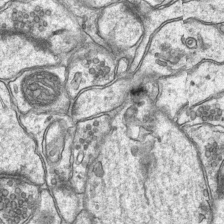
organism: Mouse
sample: CA1 Hippocampus